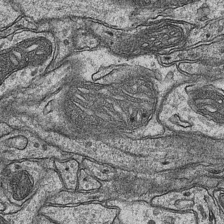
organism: Mouse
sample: CA1 Hippocampus